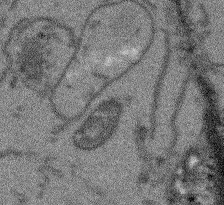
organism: Arabidopsis thaliana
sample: Root tip